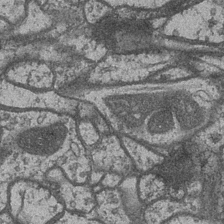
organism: Drosophila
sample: Optic medulla